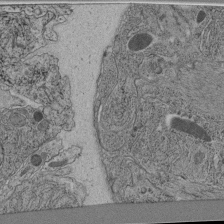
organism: C. elegans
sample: C. elegans pharynx